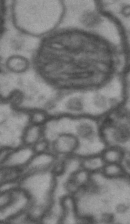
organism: Drosophila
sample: Brain